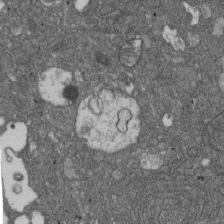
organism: Drosophila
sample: Nephrocyte